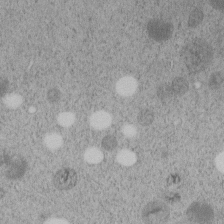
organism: C. elegans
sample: C. elegans embryo early stage